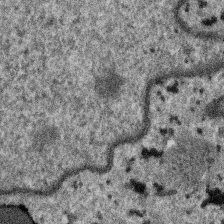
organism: Human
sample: Lung epithelial cells infected with SARS-CoV-2